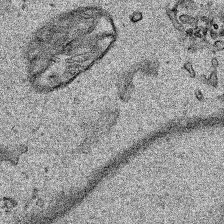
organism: Human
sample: Mitochondria in HCT116 cells